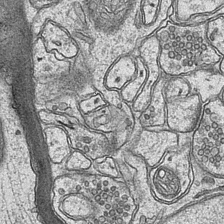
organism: Mouse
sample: CA1 Hippocampus